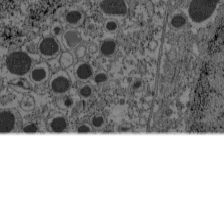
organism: C57BL Mouse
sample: Pancreatic islet